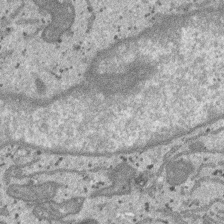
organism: Human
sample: Lung epithelial cells infected with SARS-CoV-2